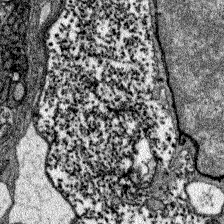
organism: Zebrafish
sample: Larval olfactory bulb